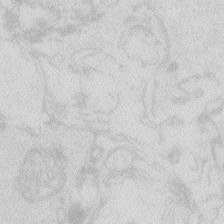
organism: Zebrafish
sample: Macrophage